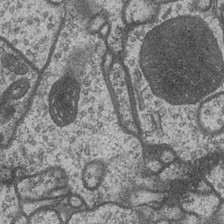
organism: Drosophila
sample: Optic medulla